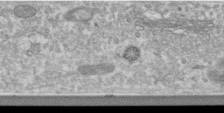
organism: Human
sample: Centriole in RPE cells